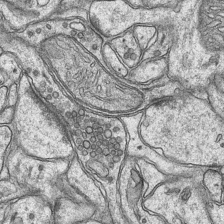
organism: Mouse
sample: CA1 Hippocampus